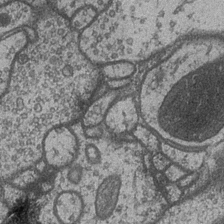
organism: Drosophila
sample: Optic medulla